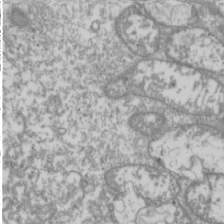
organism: Drosophila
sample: Cell division; meiosis; drosophila spermatocytes